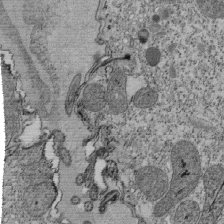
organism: Tetrahymena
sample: Cilia in tetrahymena